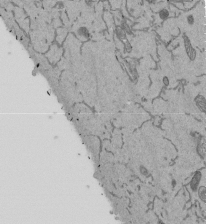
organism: Mouse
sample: ED-1 cell nuclei; centrioles